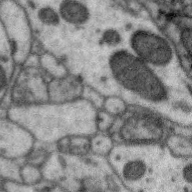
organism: Zebra finch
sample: Brain